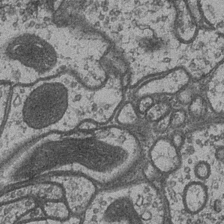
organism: Drosophila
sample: Optic medulla